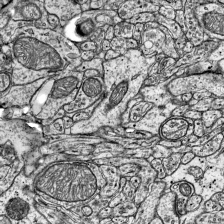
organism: Mouse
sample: Visual Cortex